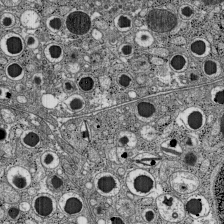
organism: C57BL Mouse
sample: Pancreatic islet